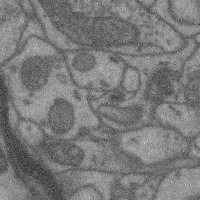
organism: Mouse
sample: Cerebral cortex